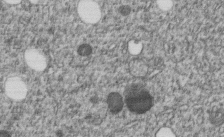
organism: C. elegans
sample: C. elegans embryo early stage